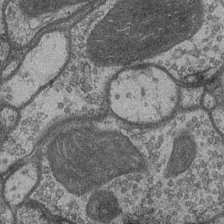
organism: Drosophila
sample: Optic medulla